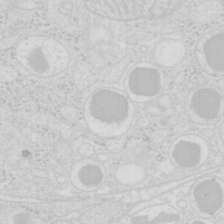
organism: Mouse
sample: Pancreas